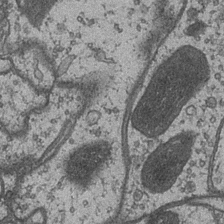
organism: Drosophila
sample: Optic medulla